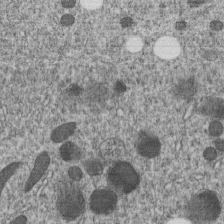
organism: C. elegans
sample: C. elegans embryo early stage